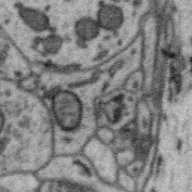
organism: Zebra finch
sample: Brain